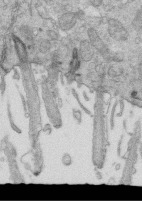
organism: Mouse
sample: Multiciliated cells